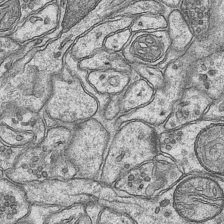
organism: Mouse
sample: CA1 Hippocampus